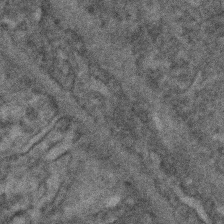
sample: Kidney